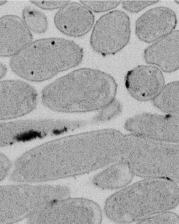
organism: E. coli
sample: Bacterial nucleoid